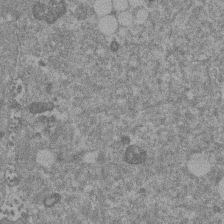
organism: Mouse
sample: Dividing mouse embryo 1 cell stage